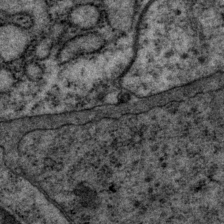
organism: P. pacificus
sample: Pharynx